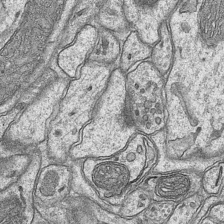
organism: Mouse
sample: CA1 Hippocampus